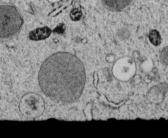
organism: C. elegans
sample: C. elegans embryo early stage